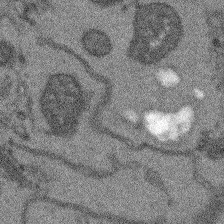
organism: Arabidopsis thaliana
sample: Root tip